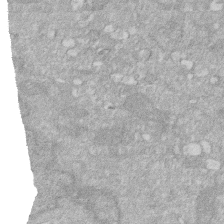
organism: Human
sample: HIV infected U937 cells